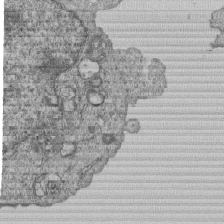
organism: Human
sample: MDA-MB-231 cells